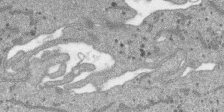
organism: Human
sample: Lung epithelial cells infected with SARS-CoV-2